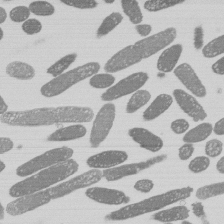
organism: E. coli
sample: Bacterial nucleoid